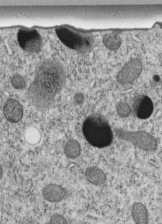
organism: C. elegans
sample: C. elegans embryo early stage